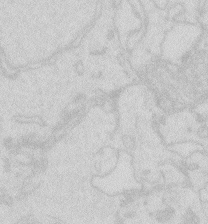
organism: Zebrafish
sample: Macrophage